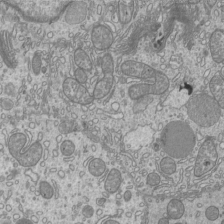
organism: Mouse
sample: Cilia; mouse epididymis